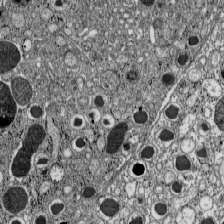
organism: C57BL Mouse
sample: Pancreatic islet